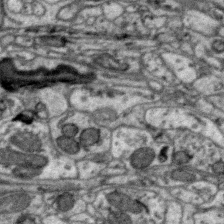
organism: Zebra finch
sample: Brain